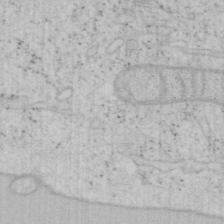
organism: Human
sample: HeLa cells